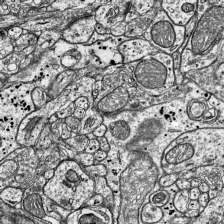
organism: Mouse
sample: Visual Cortex